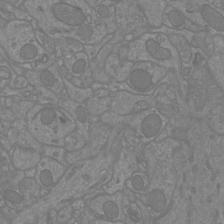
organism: Mouse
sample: Cortical neurons